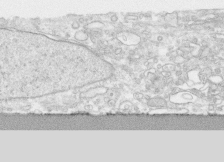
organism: Human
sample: CRL-1474